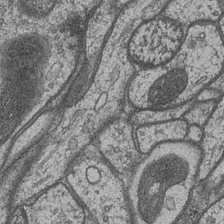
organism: Drosophila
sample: Optic medulla